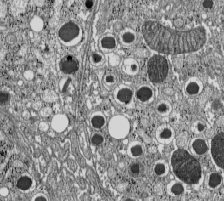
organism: C57BL Mouse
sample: Pancreatic islet